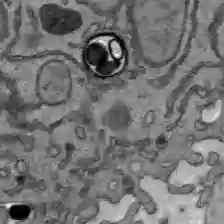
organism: C57BL Mouse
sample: Liver